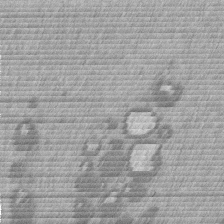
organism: Mouse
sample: Dividing mouse embryo 1 cell stage